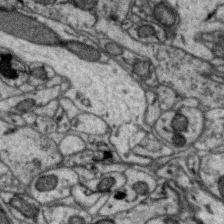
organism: Zebra finch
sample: Brain